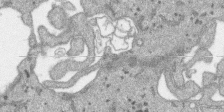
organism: Human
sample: Lung epithelial cells infected with SARS-CoV-2